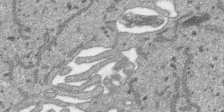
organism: Human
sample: Lung epithelial cells infected with SARS-CoV-2